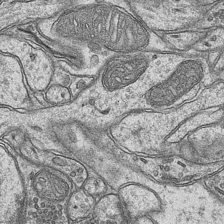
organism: Mouse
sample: CA1 Hippocampus